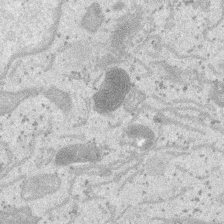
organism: Human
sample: Lung epithelial cells infected with SARS-CoV-2